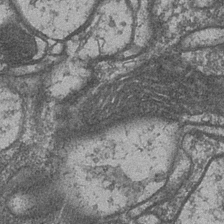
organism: Drosophila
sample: Optic medulla